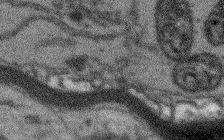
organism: Arabidopsis thaliana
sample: Root tip